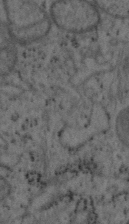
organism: Human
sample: HeLa cells